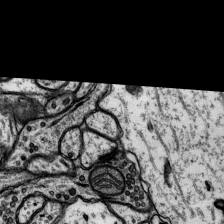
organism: Rat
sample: Hippocampus